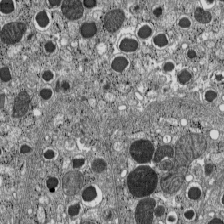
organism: C57BL Mouse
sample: Pancreatic islet